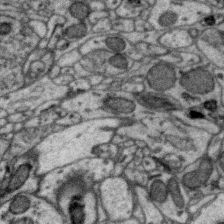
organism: Zebra finch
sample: Brain